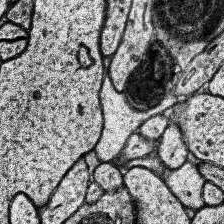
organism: Human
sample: Temporal Lobe